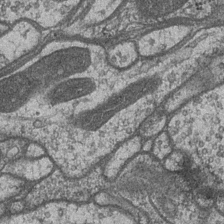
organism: Drosophila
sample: Optic medulla